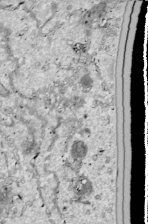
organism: Drosophila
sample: Cell division; meiosis; drosophila spermatocytes